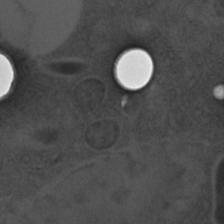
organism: C. elegans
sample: C. elegans embryo